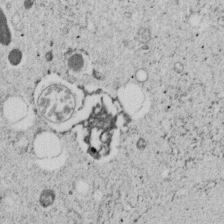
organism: C. elegans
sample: C. elegans embryo early stage